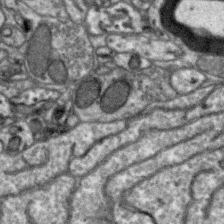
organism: Zebra finch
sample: Brain